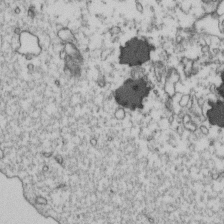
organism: Human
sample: Activated Jurkat CD4+ T cells